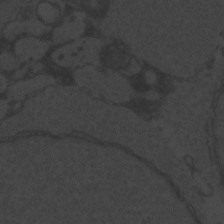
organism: Zebrafish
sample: Macrophage infected with Toxoplasma gondii